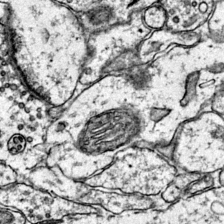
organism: Mouse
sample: Primary visual cortex